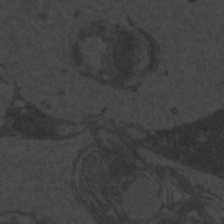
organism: Zebrafish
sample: Macrophage infected with Toxoplasma gondii